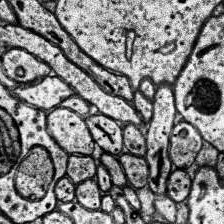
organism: Human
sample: Temporal Lobe